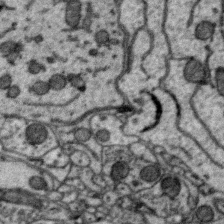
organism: Zebra finch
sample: Brain